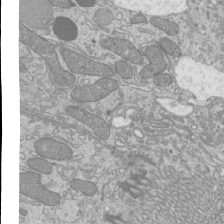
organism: Mouse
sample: Cilia; mouse epididymis